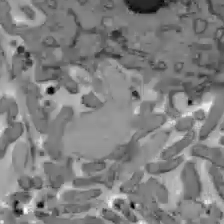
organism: C57BL Mouse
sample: Liver